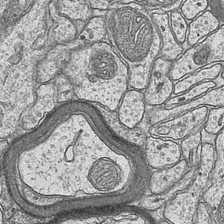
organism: Mouse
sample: CA1 Hippocampus